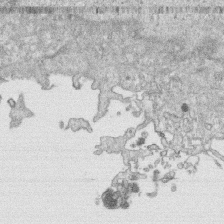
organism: Human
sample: HeLa cell HIV synapse